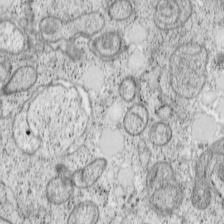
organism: African green monkey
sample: COS-7 cells